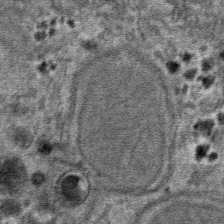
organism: Mouse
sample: Mouse hepatocytes